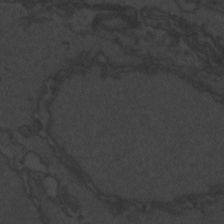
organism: Zebrafish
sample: Macrophage infected with Toxoplasma gondii